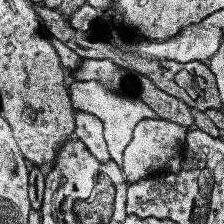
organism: Human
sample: Temporal Lobe